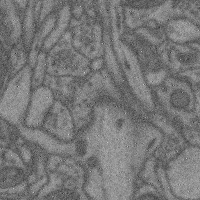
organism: Mouse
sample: Cerebral cortex